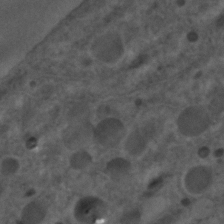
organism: C. elegans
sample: C. elegans embryo